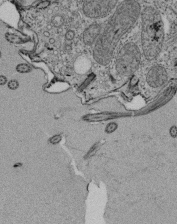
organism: Tetrahymena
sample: Cilia in tetrahymena